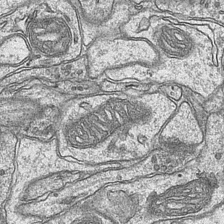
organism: Mouse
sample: CA1 Hippocampus